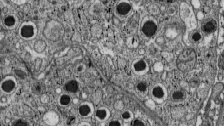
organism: C57BL Mouse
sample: Pancreatic islet